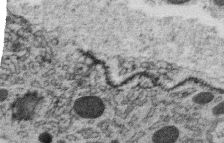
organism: C. elegans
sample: C. elegans oocyte; sperm cells